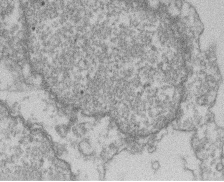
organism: Mouse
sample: T cell stromal cell synapse